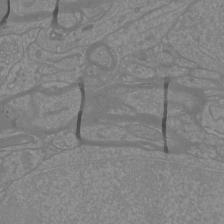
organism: Mouse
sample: Cortical neurons